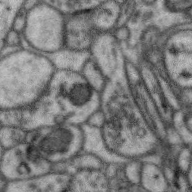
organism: Zebra finch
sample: Brain